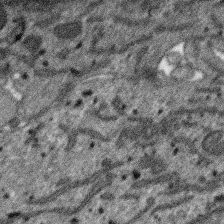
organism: Human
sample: Lung epithelial cells infected with SARS-CoV-2